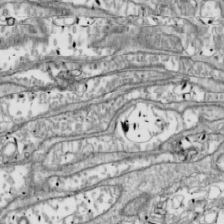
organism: Drosophila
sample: Cell division; meiosis; drosophila spermatocytes